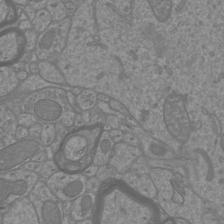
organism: Mouse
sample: Cortical neurons